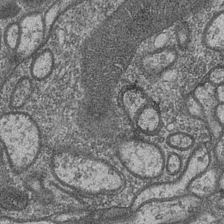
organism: Drosophila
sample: Optic medulla